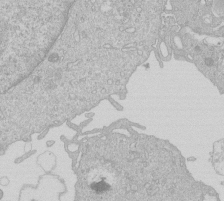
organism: Human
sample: Macrophage cells